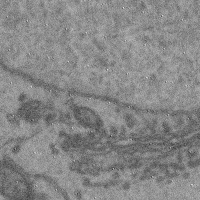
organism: Mouse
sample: Cerebral cortex